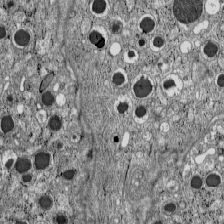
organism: C57BL Mouse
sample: Pancreatic islet